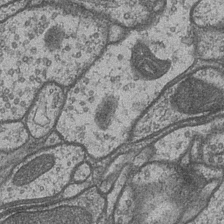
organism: Drosophila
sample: Optic medulla